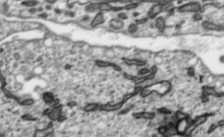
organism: Toxoplasma gondii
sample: Parasites in a vacuole inside a host cell